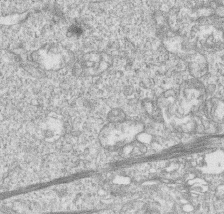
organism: Human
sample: HeLa cell HIV synapse